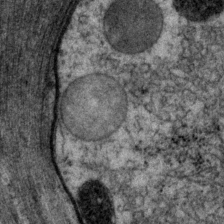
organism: P. pacificus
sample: Pharynx